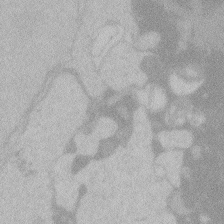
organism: Zebrafish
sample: Macrophage infected with Toxoplasma gondii